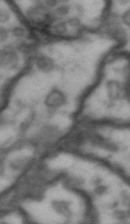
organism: Drosophila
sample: Brain